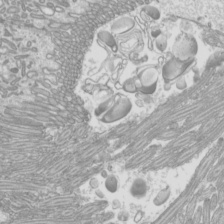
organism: Mouse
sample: Cilia; mouse epididymis